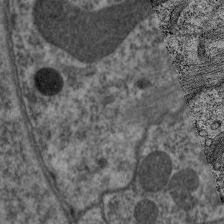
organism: C. elegans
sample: Pharynx